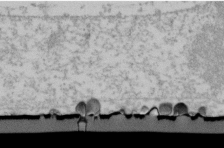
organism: Human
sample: U2-OS cells